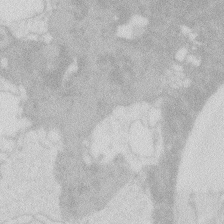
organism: Zebrafish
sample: Macrophage